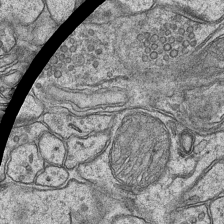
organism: Mouse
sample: CA1 Hippocampus